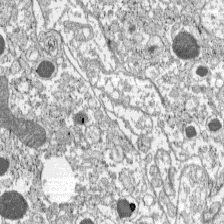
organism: C57BL Mouse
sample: Pancreatic islet